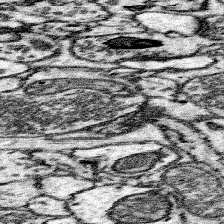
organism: Mouse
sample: Somatosensory cortex neuropil